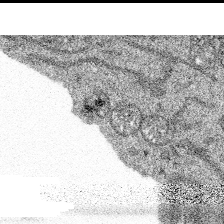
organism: Spongilla lacustris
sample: Multiple